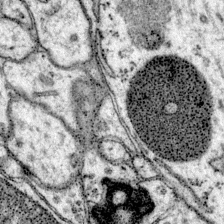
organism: Mouse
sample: Primary visual cortex